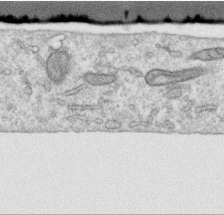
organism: Human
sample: Centriole in RPE cells